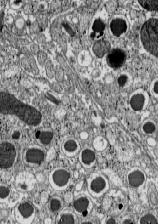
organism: C57BL Mouse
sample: Pancreatic islet